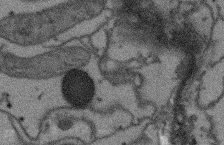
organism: Arabidopsis thaliana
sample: Root tip